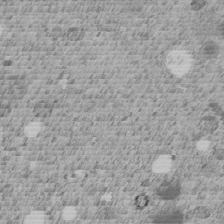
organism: C. elegans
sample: C. elegans embryo early stage